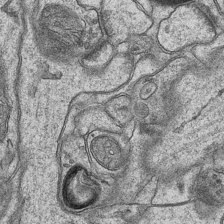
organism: Mouse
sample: CA1 Hippocampus